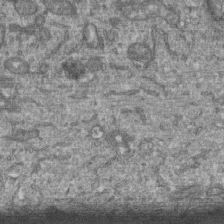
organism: Human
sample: Retinal organoid Rod and Cone cells